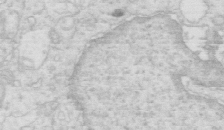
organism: Mouse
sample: Multiciliated cells